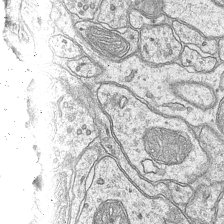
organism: Mouse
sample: CA1 Hippocampus